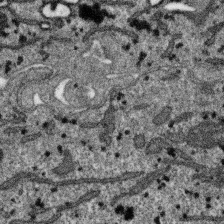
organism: Human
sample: Lung epithelial cells infected with SARS-CoV-2